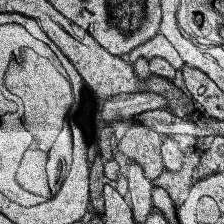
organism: Human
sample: Temporal Lobe